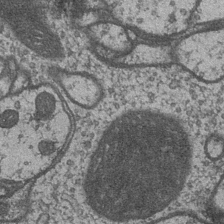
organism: Drosophila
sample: Optic medulla